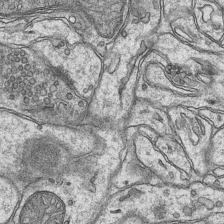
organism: Mouse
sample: CA1 Hippocampus